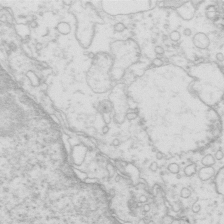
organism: Mouse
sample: Multiciliated cells